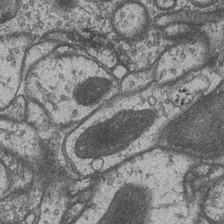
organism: Drosophila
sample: Optic medulla